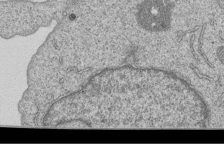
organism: Human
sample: MDA-MB-231 cells